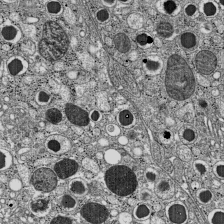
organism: C57BL Mouse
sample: Pancreatic islet